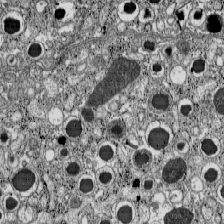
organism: C57BL Mouse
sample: Pancreatic islet